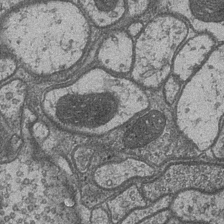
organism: Drosophila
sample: Optic medulla